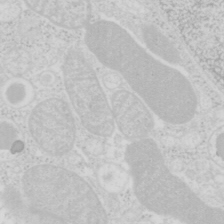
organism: Mouse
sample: Pancreas